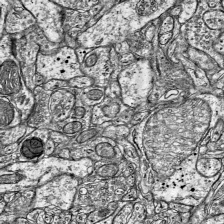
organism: Mouse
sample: Visual Cortex